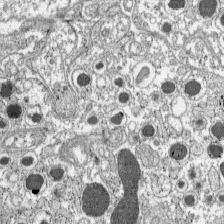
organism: C57BL Mouse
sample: Pancreatic islet